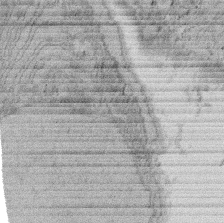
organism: Rat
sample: Salivary granule